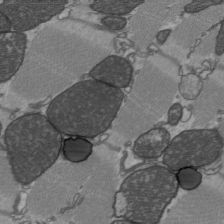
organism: C57BL Mouse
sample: Heart